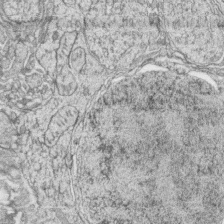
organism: Zebrafish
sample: synaptic ribbons in rod cells and cone cells